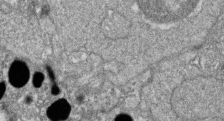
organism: Zebrafish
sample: Cilia; retinal pigment epithelium